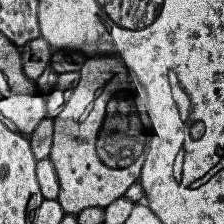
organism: Human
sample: Temporal Lobe